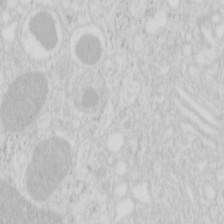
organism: Mouse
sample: Pancreas